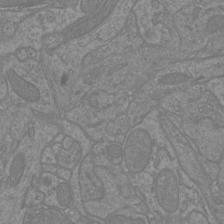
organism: Mouse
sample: Cortical neurons